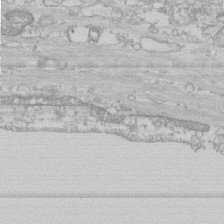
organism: Human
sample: CRL-1474